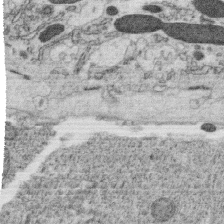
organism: C. elegans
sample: C. elegans oocyte; sperm cells